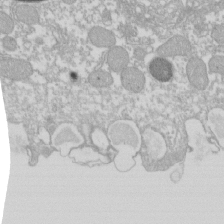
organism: Xenopus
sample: Cilia; centrioles in frog embryo cells